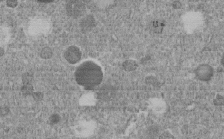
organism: C. elegans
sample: C. elegans embryo early stage